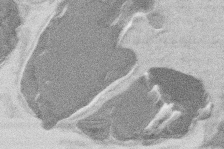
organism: Mouse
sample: T cell stromal cell synapse